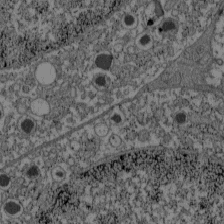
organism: C57BL Mouse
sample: Pancreatic islet